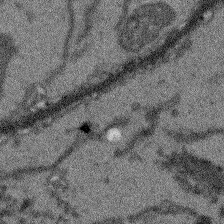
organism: Arabidopsis thaliana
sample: Root tip